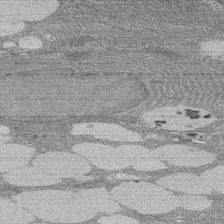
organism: Rat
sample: Salivary granule